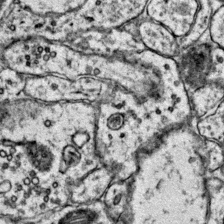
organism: Mouse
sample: Primary visual cortex